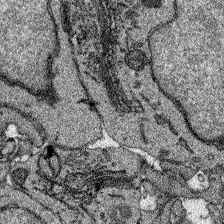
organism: Zebrafish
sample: Larval olfactory bulb